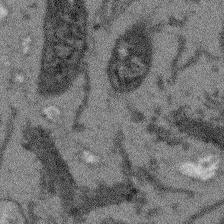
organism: Arabidopsis thaliana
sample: Root tip